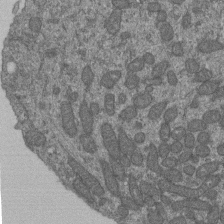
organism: Human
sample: Retinal organoid Rod and Cone cells